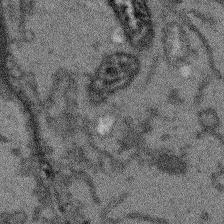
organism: Arabidopsis thaliana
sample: Root tip